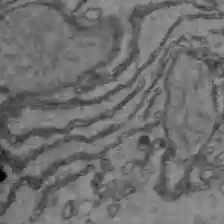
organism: C57BL Mouse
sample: Liver